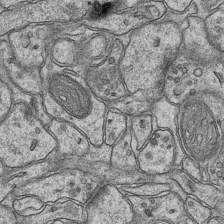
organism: Mouse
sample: CA1 Hippocampus